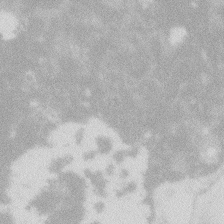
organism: Zebrafish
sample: Macrophage